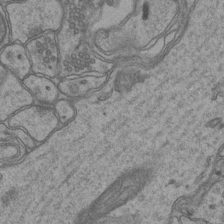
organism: Mouse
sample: CA1 Hippocampus